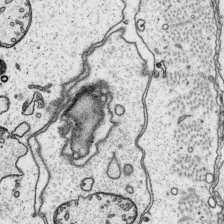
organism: Platynereis dumerilii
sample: Parapodia